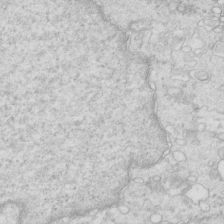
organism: Mouse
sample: Multiciliated cells